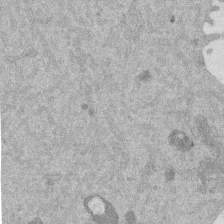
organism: Mouse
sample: Dividing mouse embryo 1 cell stage